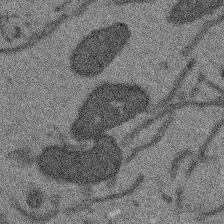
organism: Arabidopsis thaliana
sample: Root tip